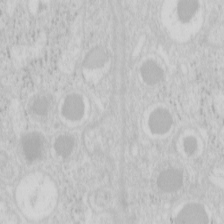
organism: Mouse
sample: Pancreas